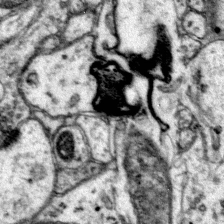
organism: Mouse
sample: Primary visual cortex